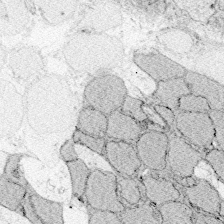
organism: Zebrafish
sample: Whole-Brain